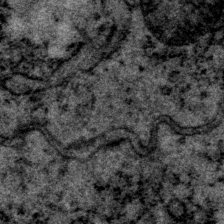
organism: P. pacificus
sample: Pharynx